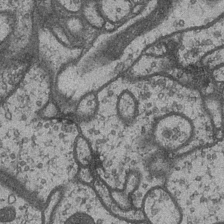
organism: Drosophila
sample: Optic medulla